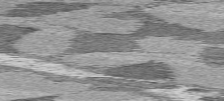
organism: C57BL Mouse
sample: Heart